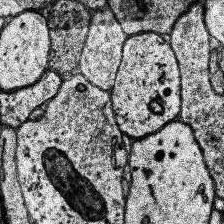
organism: Human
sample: Temporal Lobe